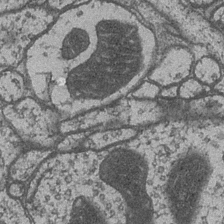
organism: Drosophila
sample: Optic medulla